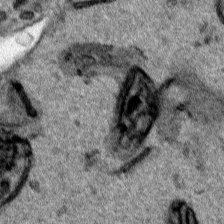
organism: Human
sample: Mitochondria in HCT116 cells